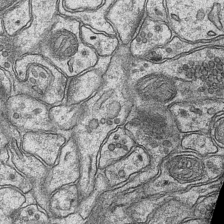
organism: Mouse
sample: CA1 Hippocampus